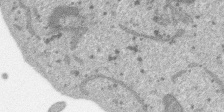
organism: Human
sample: Lung epithelial cells infected with SARS-CoV-2